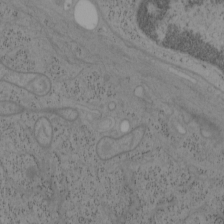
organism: Mouse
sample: OT-I killer T cells with ID8 ovarian cancer cells